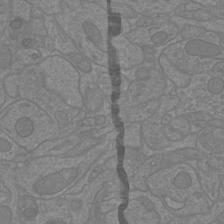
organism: Mouse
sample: Cortical neurons